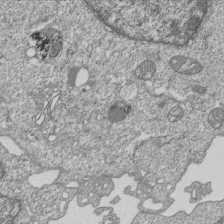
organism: Human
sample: MDA-MB-231 cells